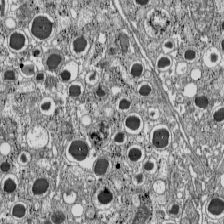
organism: C57BL Mouse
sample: Pancreatic islet